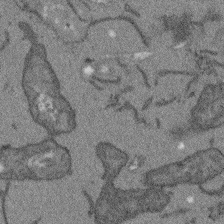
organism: Arabidopsis thaliana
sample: Root tip